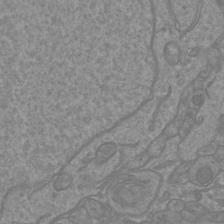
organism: Mouse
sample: Cortical neurons